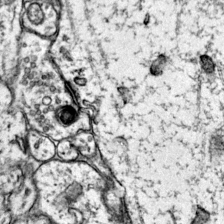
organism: Mouse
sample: Primary visual cortex